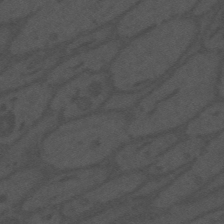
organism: Mouse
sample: Suprachiasmatic nucleus